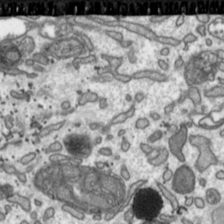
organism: Toxoplasma gondii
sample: Parasites in a vacuole inside a host cell